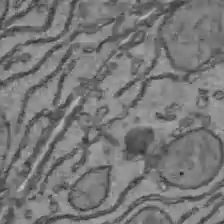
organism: C57BL Mouse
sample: Liver